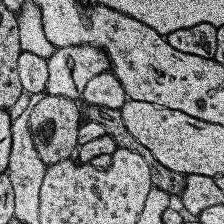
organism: Human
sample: Temporal Lobe